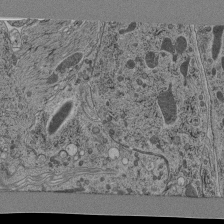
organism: C. elegans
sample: C. elegans pharynx